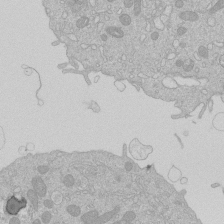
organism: Human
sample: Macrophage cells